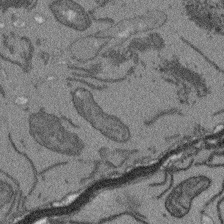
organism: Arabidopsis thaliana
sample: Root tip